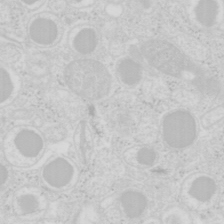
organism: Mouse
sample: Pancreas